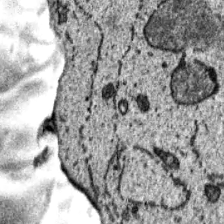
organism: Human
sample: HeLa cells